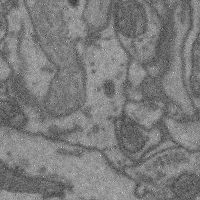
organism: Mouse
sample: Cerebral cortex